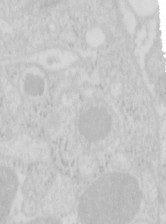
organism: Mouse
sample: Pancreas